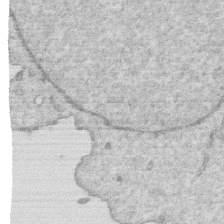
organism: Human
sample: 1205lu cells